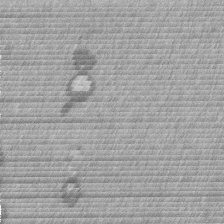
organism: Mouse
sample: Dividing mouse embryo 1 cell stage